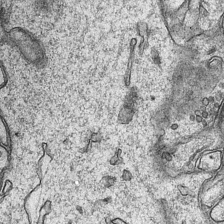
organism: Mouse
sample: CA1 Hippocampus